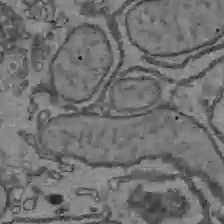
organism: C57BL Mouse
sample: Liver